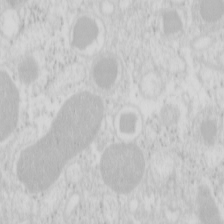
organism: Mouse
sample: Pancreas